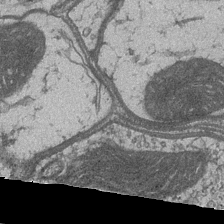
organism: Drosophila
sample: Optic medulla